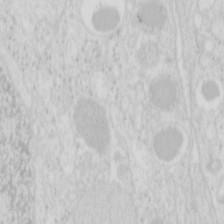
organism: Mouse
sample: Pancreas